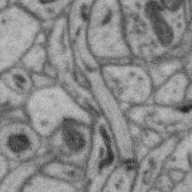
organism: Zebra finch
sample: Brain